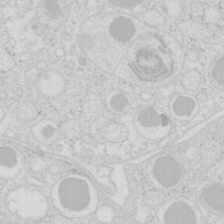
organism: Mouse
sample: Pancreas